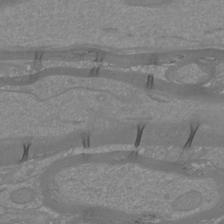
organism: Mouse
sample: Cortical neurons